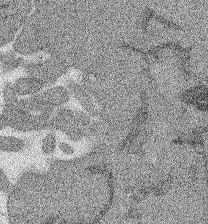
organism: Human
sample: HeLa cells